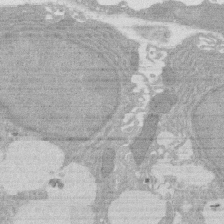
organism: Rat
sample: Salivary granule